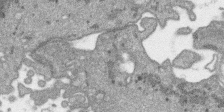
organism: Human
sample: Lung epithelial cells infected with SARS-CoV-2